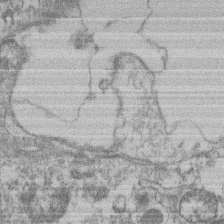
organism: Mouse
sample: T cell stromal cell synapse